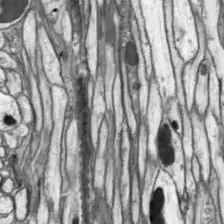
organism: Drosophila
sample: Optic lobe